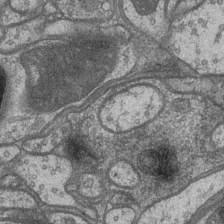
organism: Drosophila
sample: Optic medulla